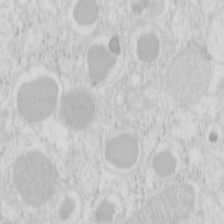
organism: Mouse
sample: Pancreas